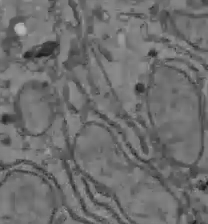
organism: C57BL Mouse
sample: Liver